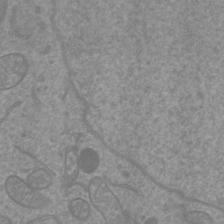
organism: Mouse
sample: Cortical neurons